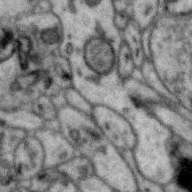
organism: Zebra finch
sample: Brain